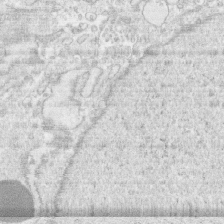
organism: Human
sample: CRL-1474